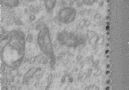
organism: Human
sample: Centriole in RPE cells